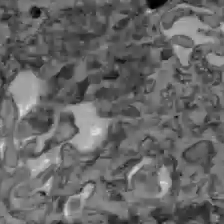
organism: C57BL Mouse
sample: Liver